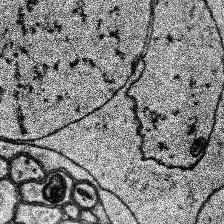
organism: Human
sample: Temporal Lobe